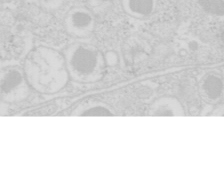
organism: Mouse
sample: Pancreas